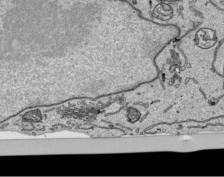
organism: Human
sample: Mitochondria in HCT116 cells